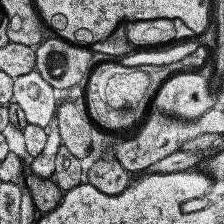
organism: Human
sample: Temporal Lobe